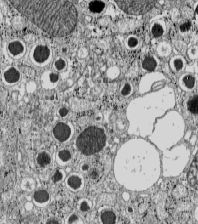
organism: C57BL Mouse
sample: Pancreatic islet